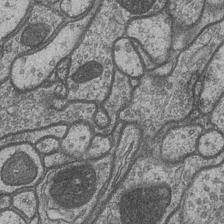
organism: Drosophila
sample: Optic medulla